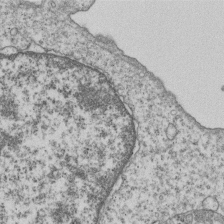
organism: Human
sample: MDA-MB-231 cells